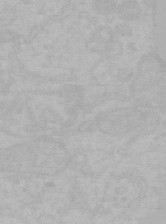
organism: Mouse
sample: Choroid plexus